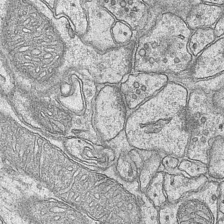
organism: Mouse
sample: CA1 Hippocampus